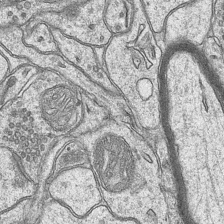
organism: Mouse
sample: CA1 Hippocampus